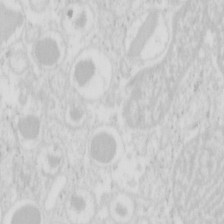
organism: Mouse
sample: Pancreas